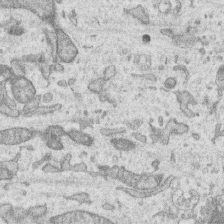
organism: Human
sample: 1205lu cells